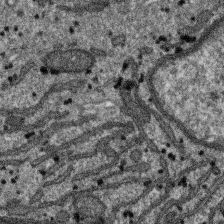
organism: Human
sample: Lung epithelial cells infected with SARS-CoV-2